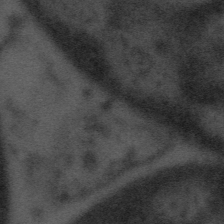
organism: Tuwongella immobilis